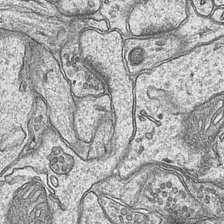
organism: Mouse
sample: CA1 Hippocampus